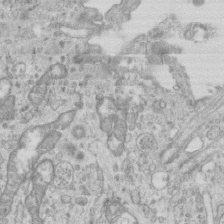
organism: Mouse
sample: Centriole in ependymal cells